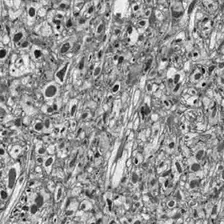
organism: Drosophila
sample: Optic lobe